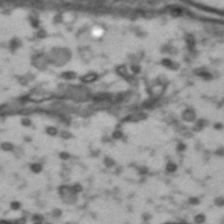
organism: Drosophila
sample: Brain